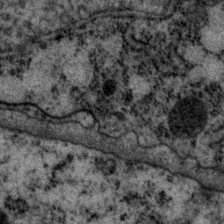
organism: P. pacificus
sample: Pharynx